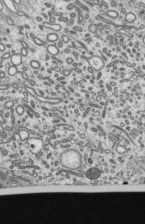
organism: Mouse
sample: Mouse epididymis efferent ductule cilia